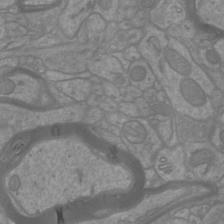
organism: Mouse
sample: Cortical neurons